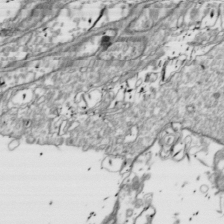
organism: Drosophila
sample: Cell division; meiosis; drosophila spermatocytes